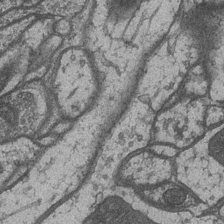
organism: Drosophila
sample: Optic medulla